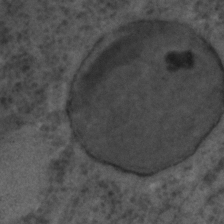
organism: C. elegans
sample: C. elegans embryo